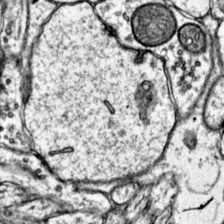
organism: Mouse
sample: Primary visual cortex